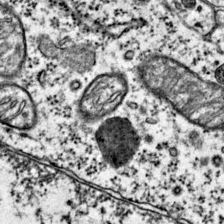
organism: Mouse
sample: Primary visual cortex